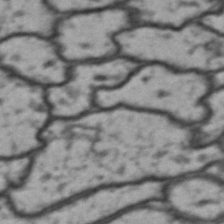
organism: Drosophila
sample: Brain